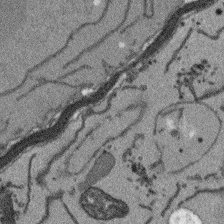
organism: Arabidopsis thaliana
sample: Root tip